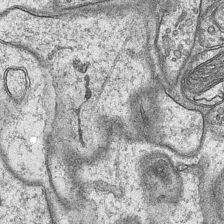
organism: Mouse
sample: CA1 Hippocampus